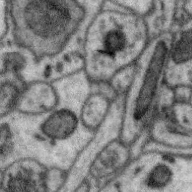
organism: Zebra finch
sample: Brain